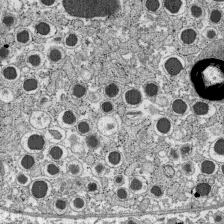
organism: C57BL Mouse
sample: Pancreatic islet